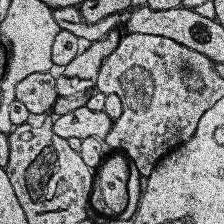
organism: Human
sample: Temporal Lobe